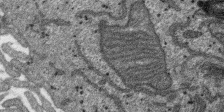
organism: Human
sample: Lung epithelial cells infected with SARS-CoV-2